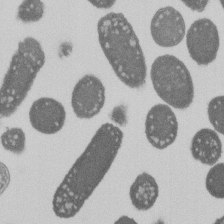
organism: E. coli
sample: Bacterial nucleoid